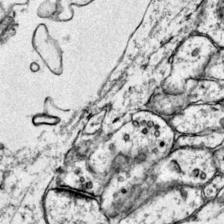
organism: Mouse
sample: Primary visual cortex